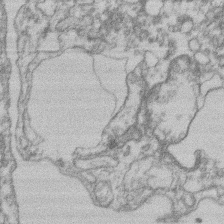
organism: Mouse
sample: T cell stromal cell synapse